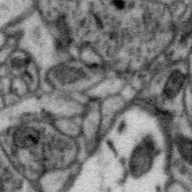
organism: Zebra finch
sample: Brain